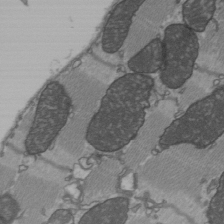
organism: C57BL Mouse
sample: Heart